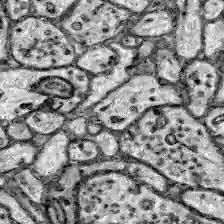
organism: Zebrafish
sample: Brain